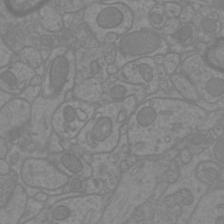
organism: Mouse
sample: Cortical neurons